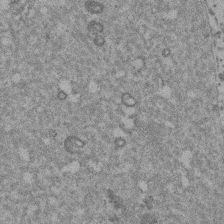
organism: Mouse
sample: Dividing mouse embryo 1 cell stage